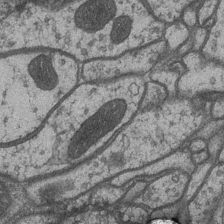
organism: Drosophila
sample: Optic medulla